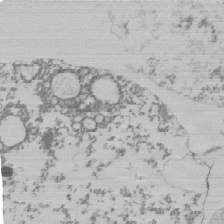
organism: Mouse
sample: Activated Pmel transgenic CD8+ T Cells